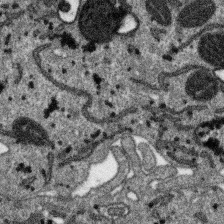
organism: Human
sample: Lung epithelial cells infected with SARS-CoV-2